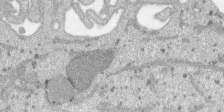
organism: Human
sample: Lung epithelial cells infected with SARS-CoV-2